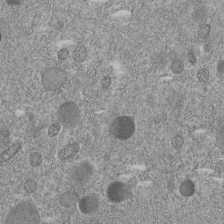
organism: C. elegans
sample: C. elegans embryo early stage